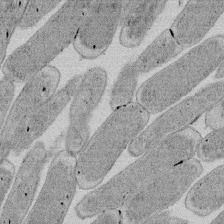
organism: E. coli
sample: Bacterial nucleoid